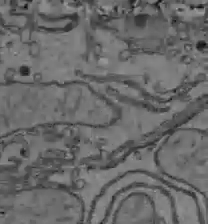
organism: C57BL Mouse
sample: Liver